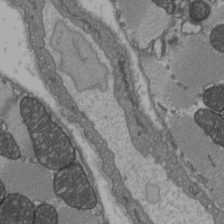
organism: C57BL Mouse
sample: Heart